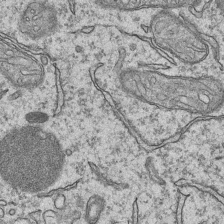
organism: Mouse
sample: CA1 Hippocampus